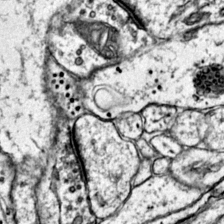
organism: Mouse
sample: Primary visual cortex